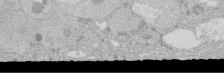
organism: Human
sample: Caco-2 cells